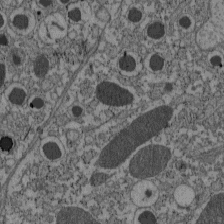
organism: C57BL Mouse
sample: Pancreatic islet